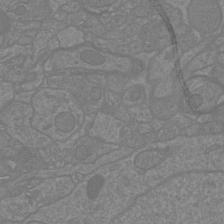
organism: Mouse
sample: Cortical neurons